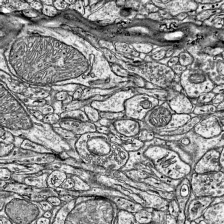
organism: Mouse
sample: Visual Cortex